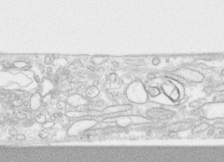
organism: Human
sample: CRL-1474